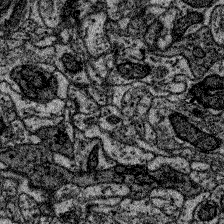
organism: Zebrafish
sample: Larval olfactory bulb